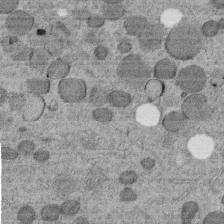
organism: C. elegans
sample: C. elegans embryo early stage